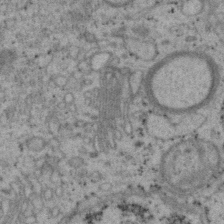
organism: Human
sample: HeLa cells